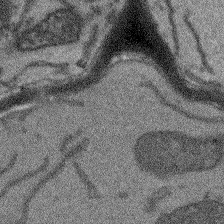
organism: Arabidopsis thaliana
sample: Root tip